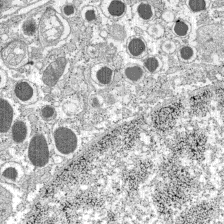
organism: C57BL Mouse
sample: Pancreatic islet